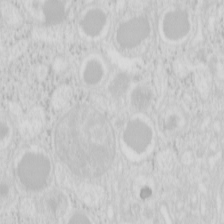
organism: Mouse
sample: Pancreas